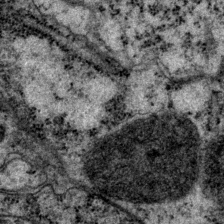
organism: P. pacificus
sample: Pharynx